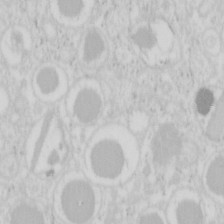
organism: Mouse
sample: Pancreas